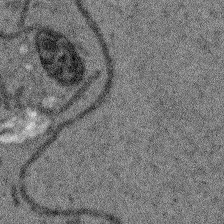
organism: Arabidopsis thaliana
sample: Root tip